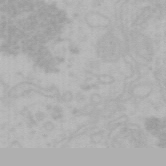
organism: Mouse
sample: Choroid plexus